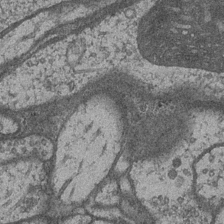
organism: Drosophila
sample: Optic medulla